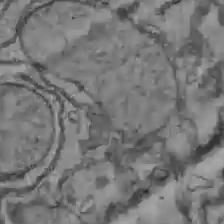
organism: C57BL Mouse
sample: Liver